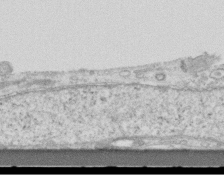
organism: Mouse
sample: Centriole in ependymal cells